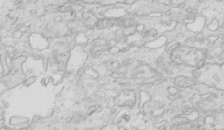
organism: Mouse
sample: Multiciliated cells